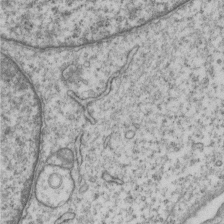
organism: Human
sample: MDA-MB-231 cells